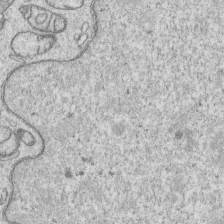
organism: Human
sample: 1205lu cells